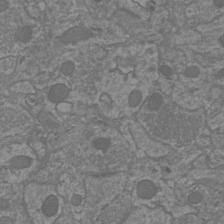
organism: Mouse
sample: Cortical neurons